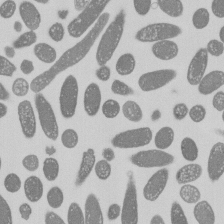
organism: E. coli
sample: Bacterial nucleoid